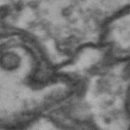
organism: Drosophila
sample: Brain